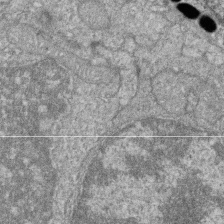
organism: Zebrafish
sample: Cilia; retinal pigment epithelium